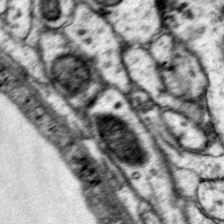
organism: Mouse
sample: Primary visual cortex